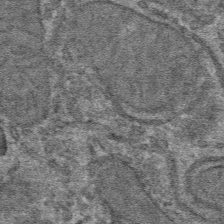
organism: Mouse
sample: Mouse hepatocytes